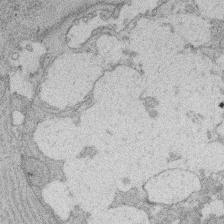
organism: Rat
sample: Salivary granule